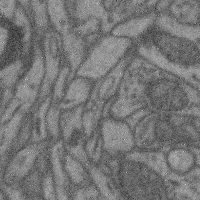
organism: Mouse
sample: Cerebral cortex